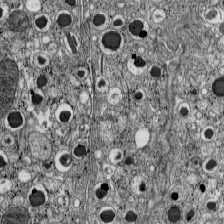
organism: C57BL Mouse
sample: Pancreatic islet